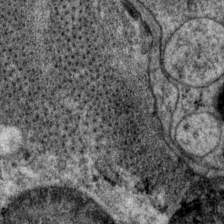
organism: P. pacificus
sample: Pharynx